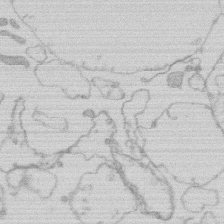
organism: Human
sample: Macrophage cells